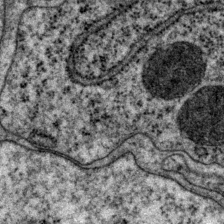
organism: P. pacificus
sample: Pharynx